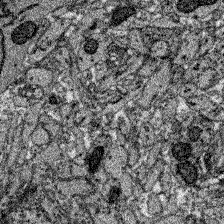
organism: Zebrafish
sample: Larval olfactory bulb